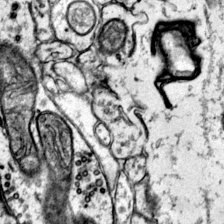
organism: Mouse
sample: Primary visual cortex